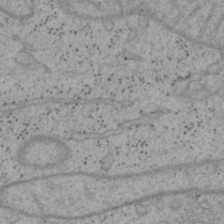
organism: Human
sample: HeLa cells